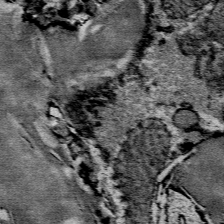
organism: Mouse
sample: Mouse Salivary gland